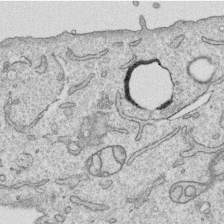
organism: Human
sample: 1205lu cells